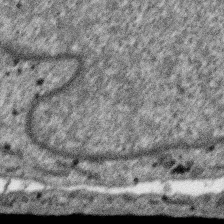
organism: Human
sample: Lung epithelial cells infected with SARS-CoV-2